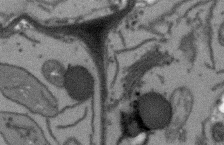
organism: Arabidopsis thaliana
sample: Root tip